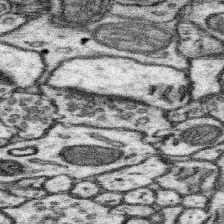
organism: Mouse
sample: Somatosensory cortex neuropil